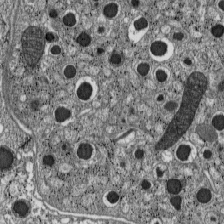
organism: C57BL Mouse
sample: Pancreatic islet